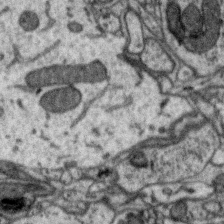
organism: Zebra finch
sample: Brain